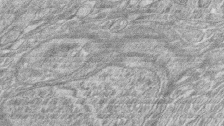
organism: Zebrafish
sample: synaptic ribbons in rod cells and cone cells